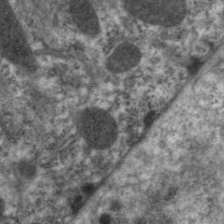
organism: C. elegans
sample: Pharynx